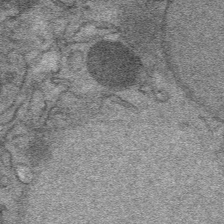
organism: Mouse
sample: Mouse Salivary gland